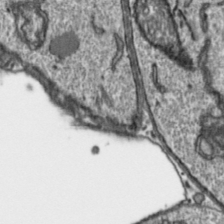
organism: Toxoplasma gondii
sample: Parasites in a vacuole inside a host cell